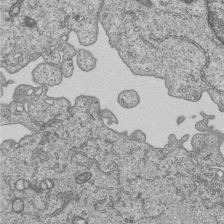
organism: Human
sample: MDA-MB-231 cells